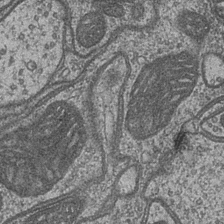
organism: Drosophila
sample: Optic medulla